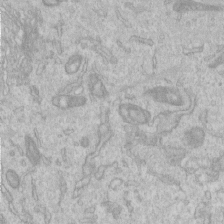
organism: Human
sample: Centriole in RPE cells